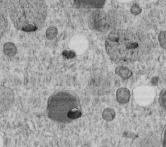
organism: C. elegans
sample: C. elegans embryo early stage